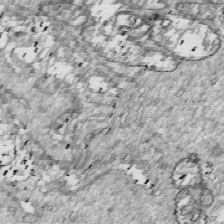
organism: Drosophila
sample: Cell division; meiosis; drosophila spermatocytes